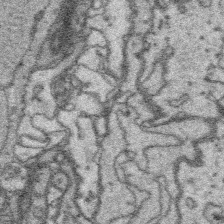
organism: Platynereis dumerilii